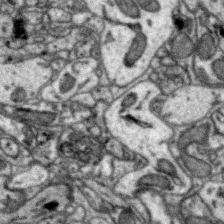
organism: Zebra finch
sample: Brain